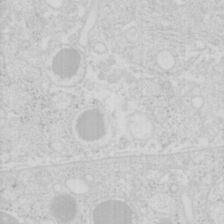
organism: Mouse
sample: Pancreas